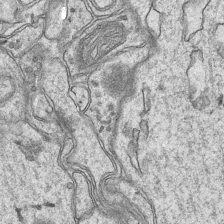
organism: Mouse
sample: CA1 Hippocampus